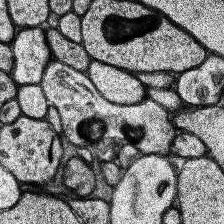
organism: Human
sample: Temporal Lobe